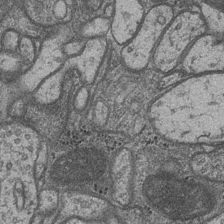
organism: Drosophila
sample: Optic medulla